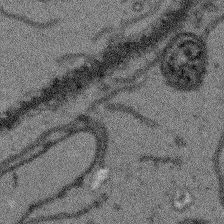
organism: Arabidopsis thaliana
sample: Root tip